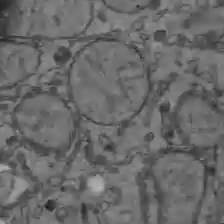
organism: C57BL Mouse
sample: Liver